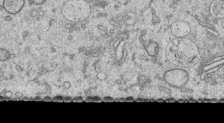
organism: Human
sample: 1205lu cells